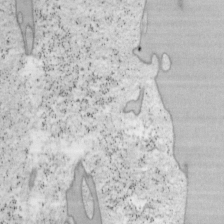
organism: Mouse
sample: OT-I killer T cells with ID8 ovarian cancer cells